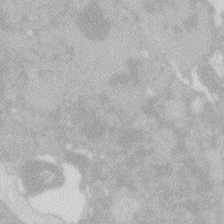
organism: Zebrafish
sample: Macrophage